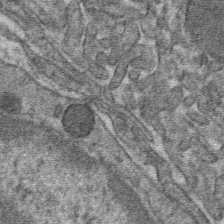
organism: Mouse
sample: Mouse hepatocytes